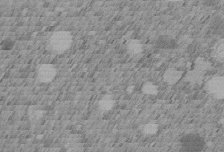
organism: C. elegans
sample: C. elegans embryo early stage